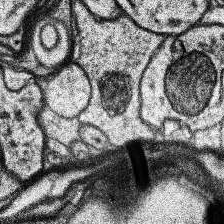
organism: Human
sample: Temporal Lobe